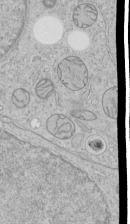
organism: Human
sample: Mitochondria in HCT116 cells